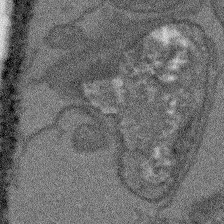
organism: Arabidopsis thaliana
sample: Root tip